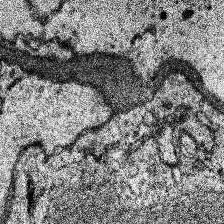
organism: Human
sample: Temporal Lobe